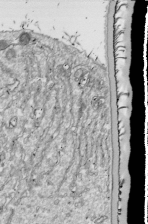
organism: Drosophila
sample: Cell division; meiosis; drosophila spermatocytes